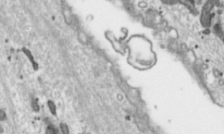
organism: Toxoplasma gondii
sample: Parasites in a vacuole inside a host cell